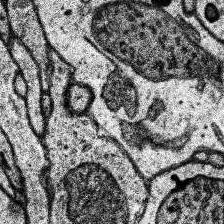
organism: Human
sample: Temporal Lobe